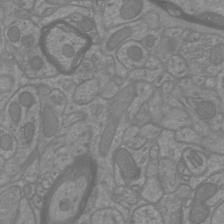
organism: Mouse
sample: Cortical neurons